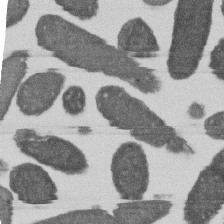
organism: E. coli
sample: Bacterial nucleoid